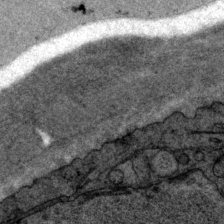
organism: P. pacificus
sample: Pharynx